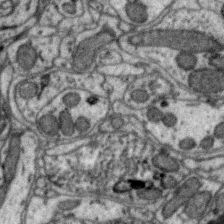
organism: Zebra finch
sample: Brain